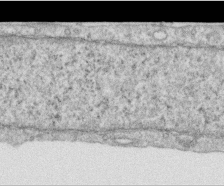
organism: Human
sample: Centriole in RPE cells